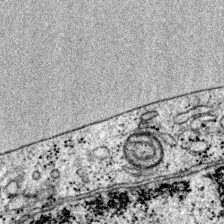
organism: Human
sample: HeLa cells